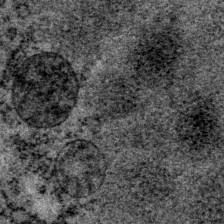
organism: P. pacificus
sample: Pharynx